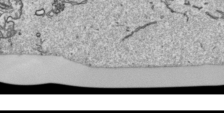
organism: Human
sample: Mitochondria in HCT116 cells